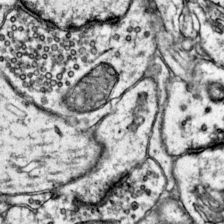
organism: Mouse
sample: Primary visual cortex